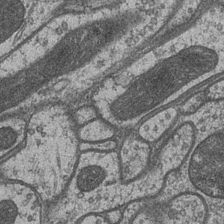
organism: Drosophila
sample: Optic medulla